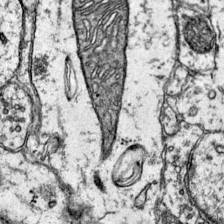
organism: Mouse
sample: Primary visual cortex